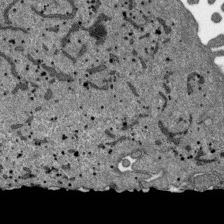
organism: Human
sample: Lung epithelial cells, uninfected (mock) control